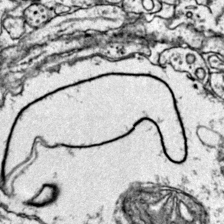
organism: Mouse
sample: Primary visual cortex